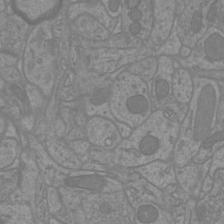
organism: Mouse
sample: Cortical neurons